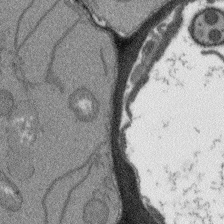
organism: Arabidopsis thaliana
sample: Root tip